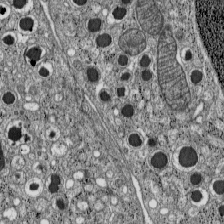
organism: C57BL Mouse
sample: Pancreatic islet